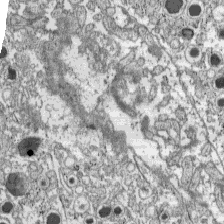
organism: C57BL Mouse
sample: Pancreatic islet